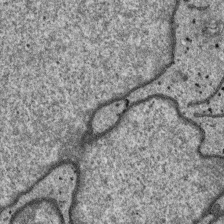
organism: Human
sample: Lung epithelial cells, uninfected (mock) control